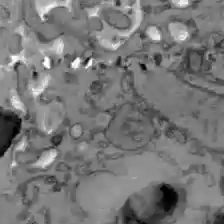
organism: C57BL Mouse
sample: Liver